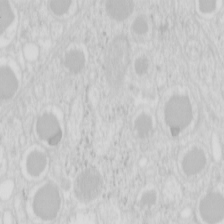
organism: Mouse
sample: Pancreas